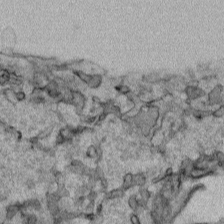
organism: Human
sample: Mitochondria in HCT116 cells